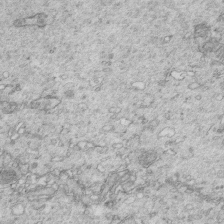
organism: Mouse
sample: Multiciliated cells